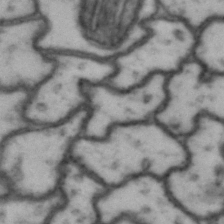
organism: Drosophila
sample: Brain